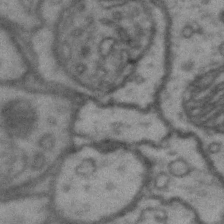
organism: Drosophila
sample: Brain